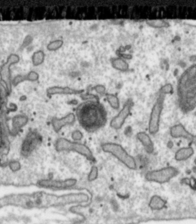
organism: Toxoplasma gondii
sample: Parasites in a vacuole inside a host cell